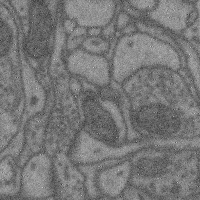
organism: Mouse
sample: Cerebral cortex